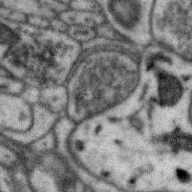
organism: Zebra finch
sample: Brain